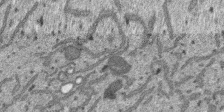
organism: Human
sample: Lung epithelial cells infected with SARS-CoV-2